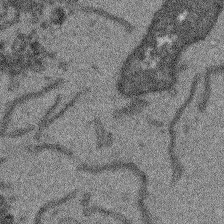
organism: Arabidopsis thaliana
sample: Root tip